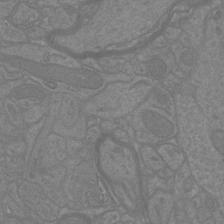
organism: Mouse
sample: Cortical neurons